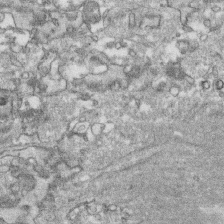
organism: Human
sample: CRL-1474